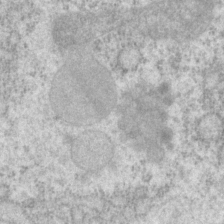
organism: P. pacificus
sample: Pharynx